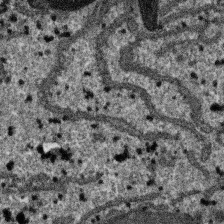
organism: Human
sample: Lung epithelial cells infected with SARS-CoV-2